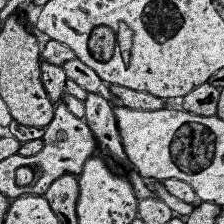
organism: Human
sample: Temporal Lobe